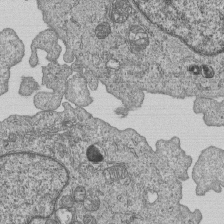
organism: Human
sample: MDA-MB-231 cells